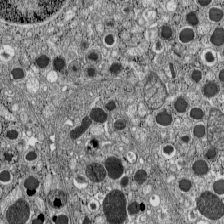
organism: C57BL Mouse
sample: Pancreatic islet